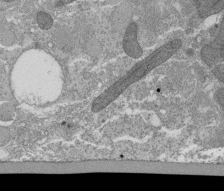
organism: Tetrahymena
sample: Cilia in tetrahymena